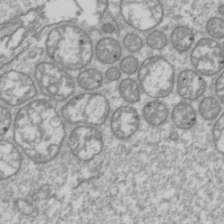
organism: Drosophila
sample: Cell division; meiosis; drosophila spermatocytes